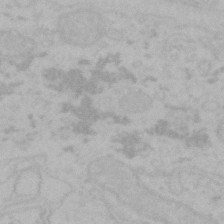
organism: Mouse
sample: Choroid plexus